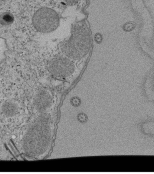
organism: Tetrahymena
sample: Cilia in tetrahymena